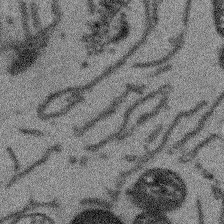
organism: Arabidopsis thaliana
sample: Root tip